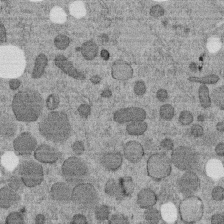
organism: C. elegans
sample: C. elegans embryo early stage